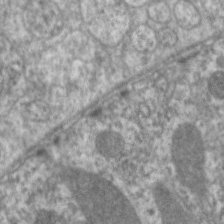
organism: C. elegans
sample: Pharynx